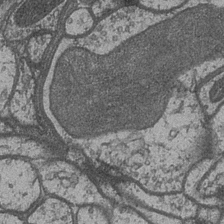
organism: Drosophila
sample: Optic medulla